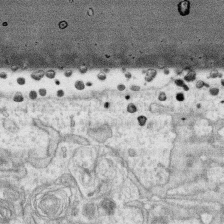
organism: Human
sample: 1205lu cells